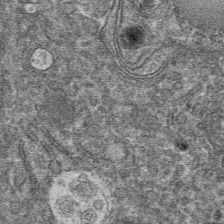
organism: Mouse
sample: Mouse hepatocytes